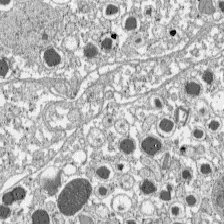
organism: C57BL Mouse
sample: Pancreatic islet